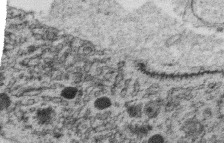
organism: C. elegans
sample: C. elegans oocyte; sperm cells